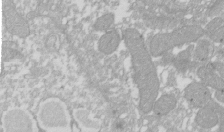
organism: Xenopus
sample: Cilia; centrioles in frog embryo cells